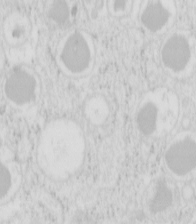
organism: Mouse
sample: Pancreas